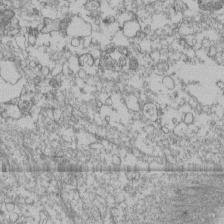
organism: Human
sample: Fibroblast cells